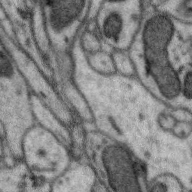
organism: Zebra finch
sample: Brain